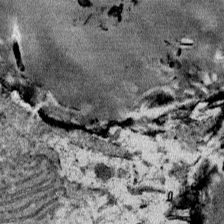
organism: Mouse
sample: Mouse Salivary gland